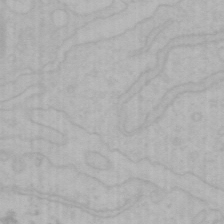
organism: Mouse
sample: Choroid plexus